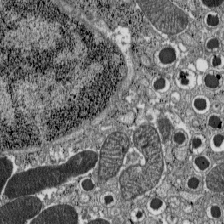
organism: C57BL Mouse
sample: Pancreatic islet